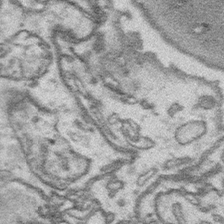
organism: Platynereis dumerilii